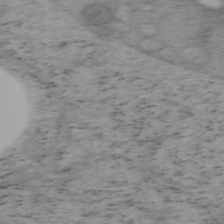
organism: Mouse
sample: OT-I killer T cells with ID8 ovarian cancer cells